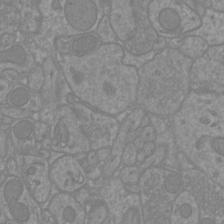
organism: Mouse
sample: Cortical neurons